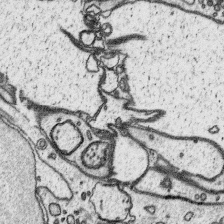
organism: Platynereis dumerilii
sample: Parapodia